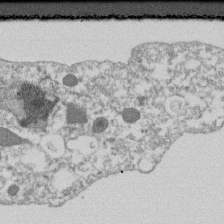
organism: Dictyostelium discoideum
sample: Dictyostelium multivesicular bodies